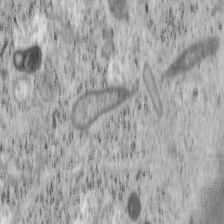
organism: Human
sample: HeLa cells